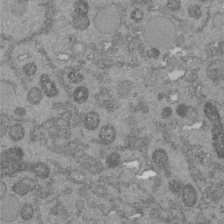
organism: C. elegans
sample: C. elegans embryo early stage